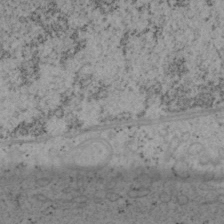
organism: Human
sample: HeLa cells